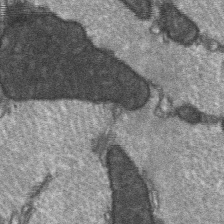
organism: C57BL Mouse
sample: Soleus